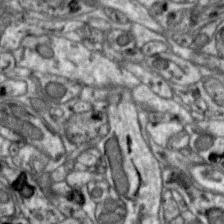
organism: Zebra finch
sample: Brain